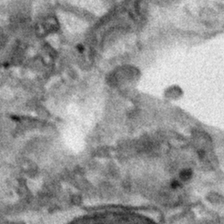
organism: Human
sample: Mitochondria in HCT116 cells